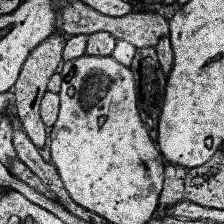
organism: Human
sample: Temporal Lobe